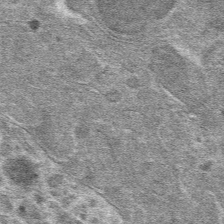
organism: Mouse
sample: Mouse hepatocytes